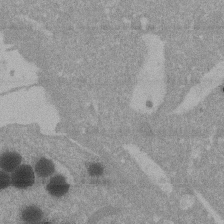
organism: Mouse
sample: ED-1 cell nuclei; centrioles